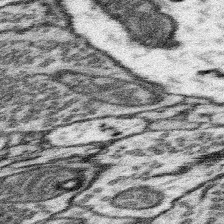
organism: Mouse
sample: Somatosensory cortex neuropil